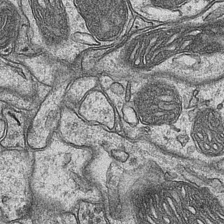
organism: Mouse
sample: CA1 Hippocampus